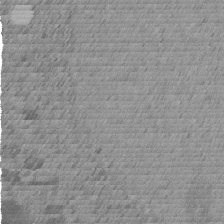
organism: C. elegans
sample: C. elegans embryo early stage